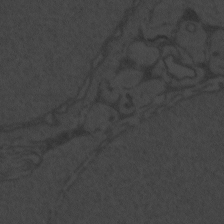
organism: Zebrafish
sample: Macrophage infected with Toxoplasma gondii